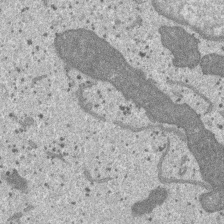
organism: Human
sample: Lung epithelial cells infected with SARS-CoV-2